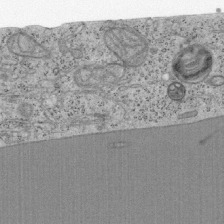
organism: Human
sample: HeLa cells